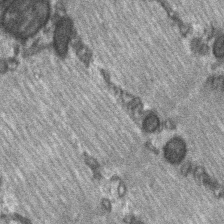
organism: C57BL Mouse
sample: Soleus